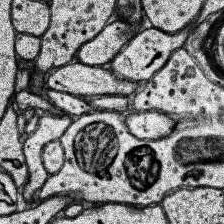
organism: Human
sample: Temporal Lobe